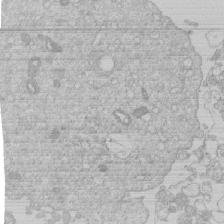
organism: Human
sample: Macrophage cells